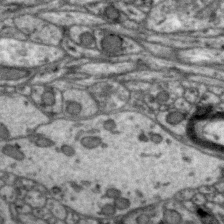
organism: Zebra finch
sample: Brain